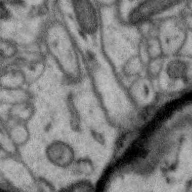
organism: Zebra finch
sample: Brain